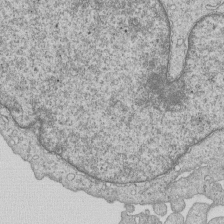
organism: Human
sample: MDA-MB-231 cells